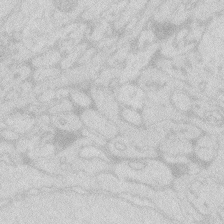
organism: Zebrafish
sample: Macrophage